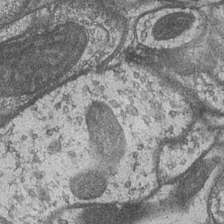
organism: Drosophila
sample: Optic medulla